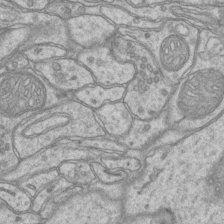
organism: Mouse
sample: CA1 Hippocampus